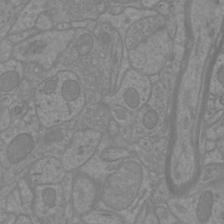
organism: Mouse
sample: Cortical neurons